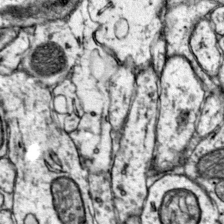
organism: Mouse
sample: Primary visual cortex